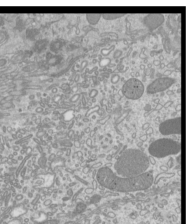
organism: Mouse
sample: Cilia; mouse epididymis